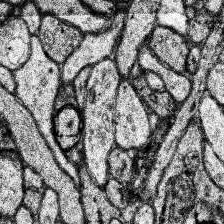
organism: Human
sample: Temporal Lobe